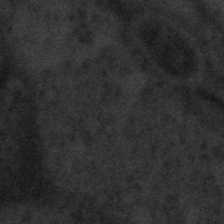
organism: Tuwongella immobilis